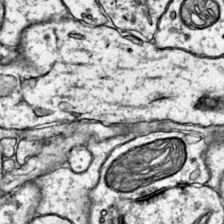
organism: Mouse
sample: Primary visual cortex